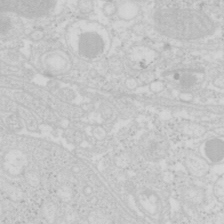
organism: Mouse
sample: Pancreas